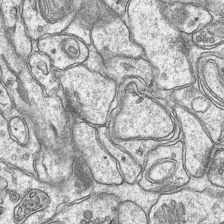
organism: Mouse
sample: CA1 Hippocampus